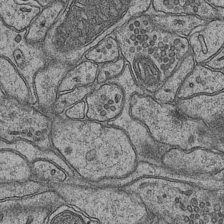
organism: Mouse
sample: CA1 Hippocampus